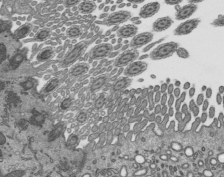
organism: Mouse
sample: Mouse epididymis efferent ductule cilia